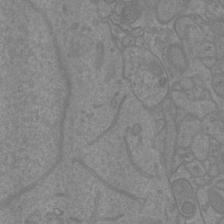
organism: Mouse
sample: Cortical neurons